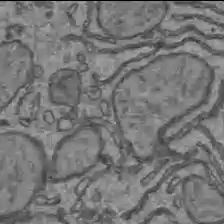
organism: C57BL Mouse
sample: Liver